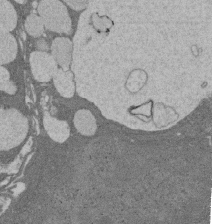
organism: Rat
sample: Salivary granule